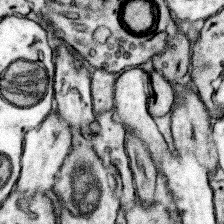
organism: Mouse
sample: Somatosensory cortex neuropil